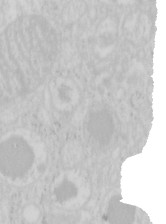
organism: Mouse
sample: Pancreas